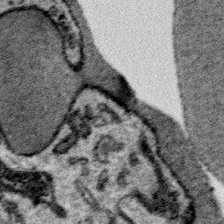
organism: Plasmodium falciparum